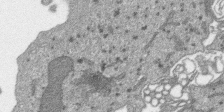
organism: Human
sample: Lung epithelial cells infected with SARS-CoV-2